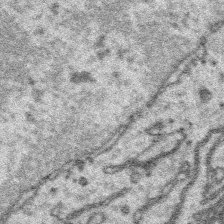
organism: Platynereis dumerilii